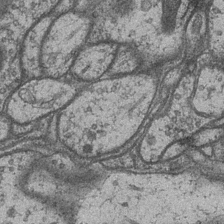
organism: Drosophila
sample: Optic medulla